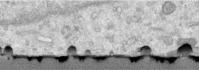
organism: Human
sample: Centriole in RPE cells